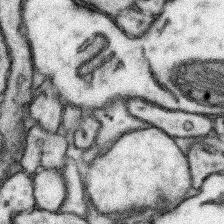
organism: Mouse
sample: Somatosensory cortex neuropil